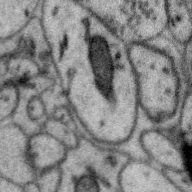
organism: Zebra finch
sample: Brain